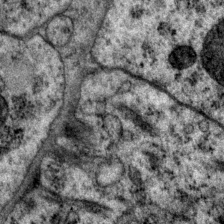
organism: P. pacificus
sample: Pharynx